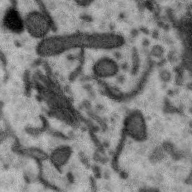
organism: Zebra finch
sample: Brain